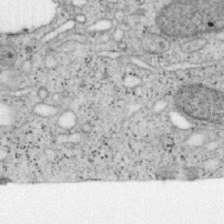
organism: Mouse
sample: OT-I killer T cells with ID8 ovarian cancer cells